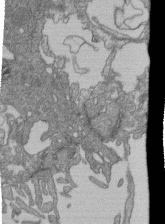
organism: Human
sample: Retinal organoid Rod and Cone cells